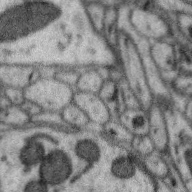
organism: Zebra finch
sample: Brain